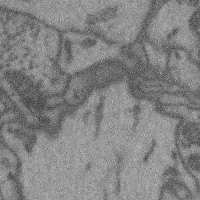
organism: Mouse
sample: Cerebral cortex